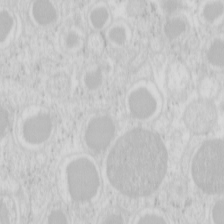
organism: Mouse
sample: Pancreas